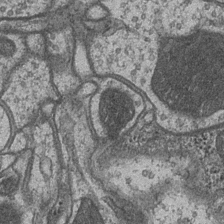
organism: Drosophila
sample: Optic medulla